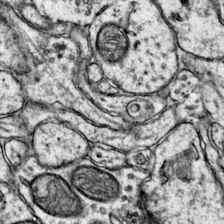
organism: Mouse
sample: Primary visual cortex